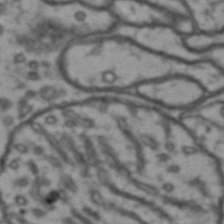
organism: Drosophila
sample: Brain